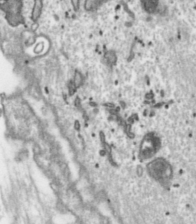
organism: Toxoplasma gondii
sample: Parasites in a vacuole inside a host cell